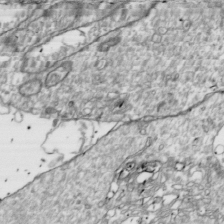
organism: Drosophila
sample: Cell division; meiosis; drosophila spermatocytes